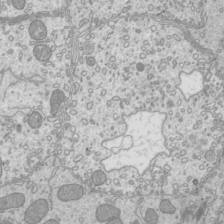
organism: Mouse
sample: Cilia; mouse epididymis